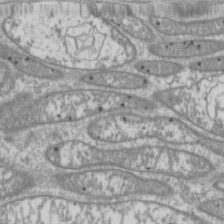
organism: Drosophila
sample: Cell division; meiosis; drosophila spermatocytes